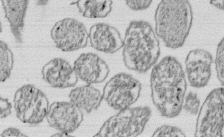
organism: E. coli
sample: Bacterial nucleoid